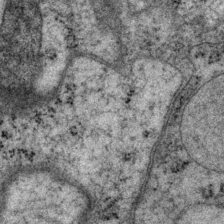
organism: P. pacificus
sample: Pharynx